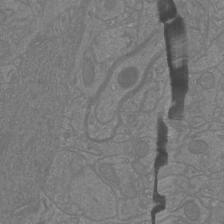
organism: Mouse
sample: Cortical neurons